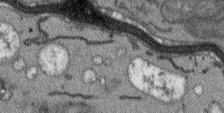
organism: Arabidopsis thaliana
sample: Root tip